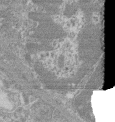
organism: Mouse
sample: Glomerulus